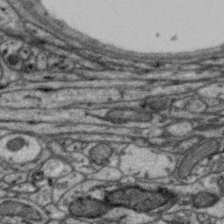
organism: Zebra finch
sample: Brain